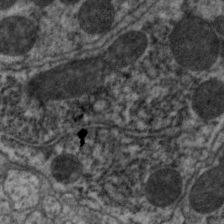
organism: C. elegans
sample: Pharynx